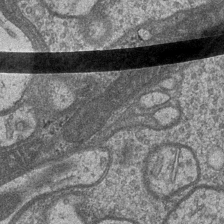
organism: Drosophila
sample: Optic medulla